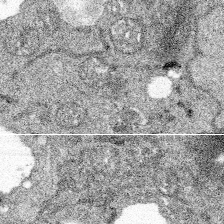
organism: Spongilla lacustris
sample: Multiple